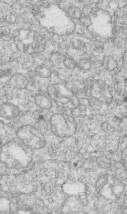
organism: Human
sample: HeLa cell HIV synapse